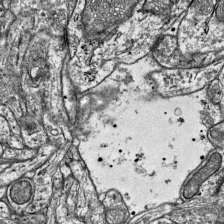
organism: Mouse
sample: Visual Cortex